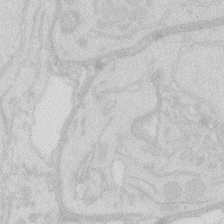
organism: Zebrafish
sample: Macrophage